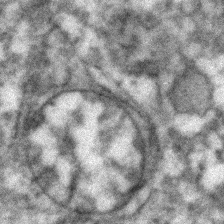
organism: Zebrafish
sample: Zebrafish embryo